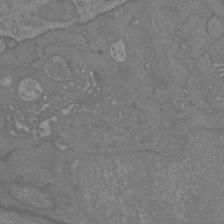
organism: Mouse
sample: Cortical neurons